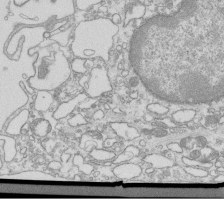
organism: Mouse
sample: Macrophages